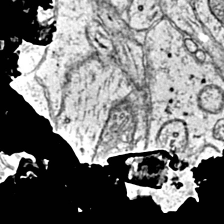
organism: Mouse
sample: Primary visual cortex